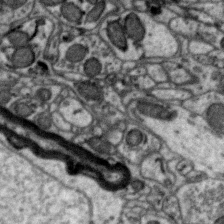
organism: Zebra finch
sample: Brain